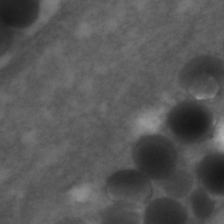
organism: Zebrafish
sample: Zebrafish embryo